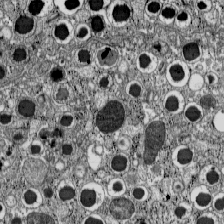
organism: C57BL Mouse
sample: Pancreatic islet